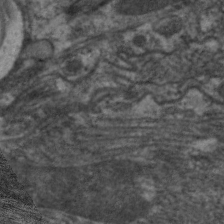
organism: C. elegans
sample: Pharynx